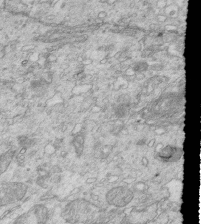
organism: Mouse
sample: Multiciliated cells